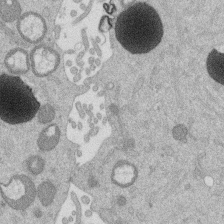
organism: Mouse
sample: Dividing mouse embryo 1 cell stage